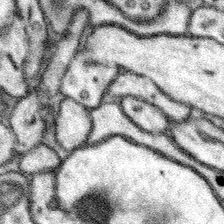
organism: Mouse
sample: Somatosensory cortex neuropil